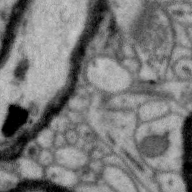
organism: Zebra finch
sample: Brain